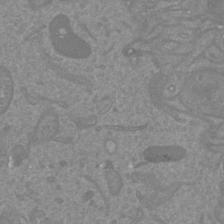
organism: Mouse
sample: Cortical neurons